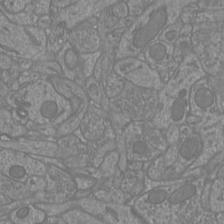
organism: Mouse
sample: Cortical neurons